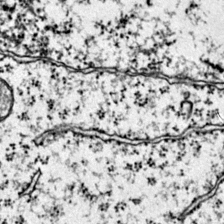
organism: Mouse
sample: Primary visual cortex